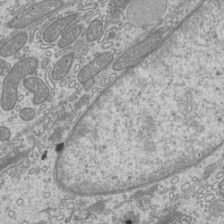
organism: Mouse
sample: Cilia; mouse epididymis